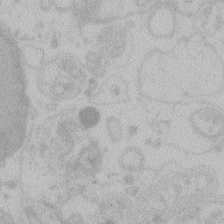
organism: Zebrafish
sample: Macrophage infected with Toxoplasma gondii